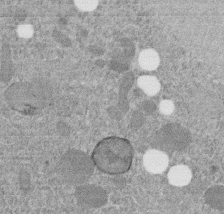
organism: C. elegans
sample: C. elegans embryo early stage